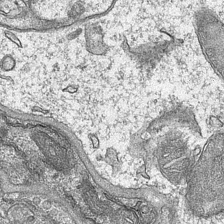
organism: Mouse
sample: CA1 Hippocampus